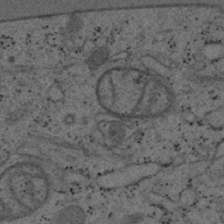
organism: Human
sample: HeLa cells